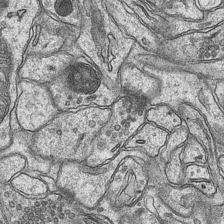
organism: Mouse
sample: CA1 Hippocampus